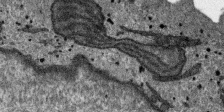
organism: Human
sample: Lung epithelial cells, uninfected (mock) control